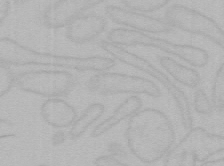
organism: Mouse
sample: Choroid plexus